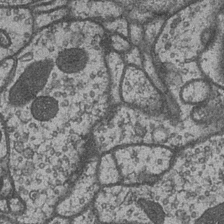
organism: Drosophila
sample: Optic medulla